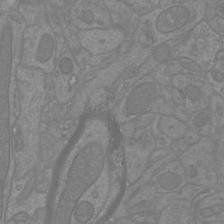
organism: Mouse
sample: Cortical neurons